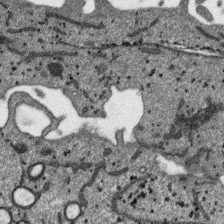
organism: Human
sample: Lung epithelial cells infected with SARS-CoV-2